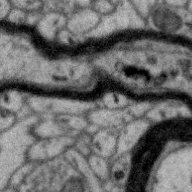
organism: Zebra finch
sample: Brain